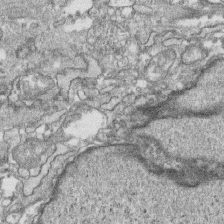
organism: Human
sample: CRL-1474